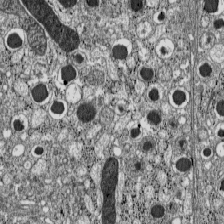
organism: C57BL Mouse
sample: Pancreatic islet